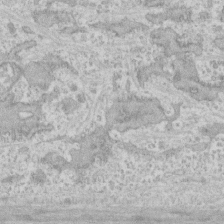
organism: Human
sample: CRL-1474